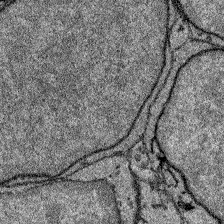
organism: Zebrafish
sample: Larval olfactory bulb